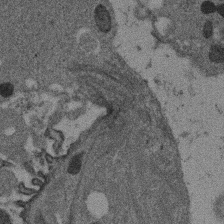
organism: Mouse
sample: Dividing mouse embryo 1 cell stage